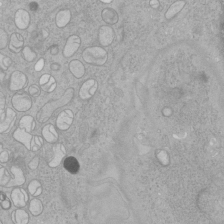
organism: Human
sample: Mitochondria in HCT116 cells